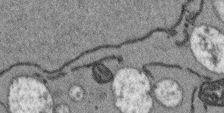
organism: Arabidopsis thaliana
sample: Root tip